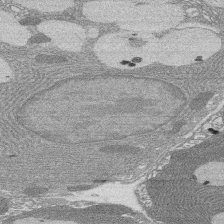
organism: Rat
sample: Salivary granule